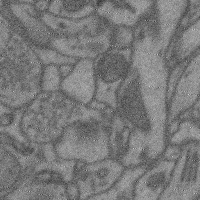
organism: Mouse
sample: Cerebral cortex